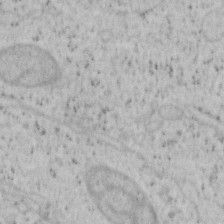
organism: Human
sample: HeLa cells